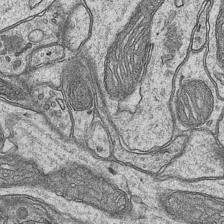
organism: Mouse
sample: CA1 Hippocampus